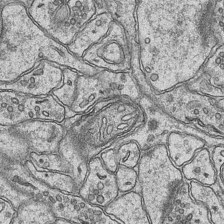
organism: Mouse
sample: CA1 Hippocampus